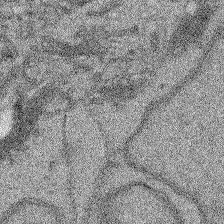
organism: Human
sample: HeLa cells